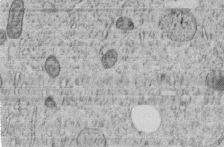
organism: C. elegans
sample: C. elegans embryo early stage